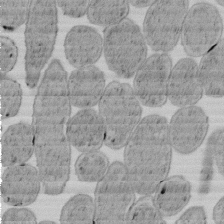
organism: E. coli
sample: Bacterial nucleoid